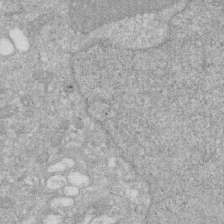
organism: Human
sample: HIV infected U937 cells